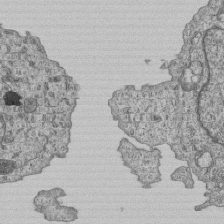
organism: Human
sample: MDA-MB-231 cells